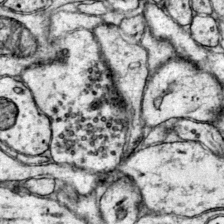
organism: Mouse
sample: Primary visual cortex